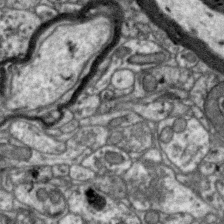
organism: Zebra finch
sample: Brain